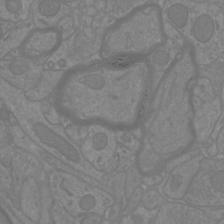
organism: Mouse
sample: Cortical neurons